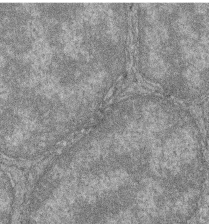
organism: Zebrafish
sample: Cilia; retinal pigment epithelium